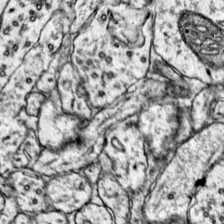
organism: Mouse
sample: Primary visual cortex